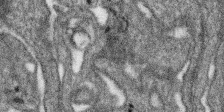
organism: Human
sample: Lung epithelial cells infected with SARS-CoV-2